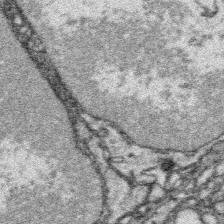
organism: Platynereis dumerilii